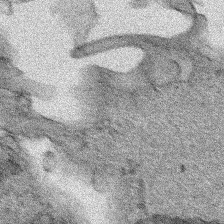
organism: Human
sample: Mitochondria in HCT116 cells